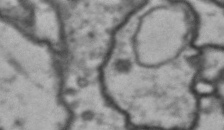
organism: Drosophila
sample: Brain